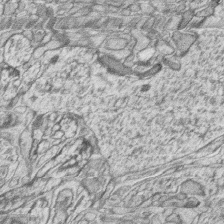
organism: Zebrafish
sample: synaptic ribbons in rod cells and cone cells